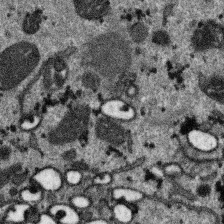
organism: Human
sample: Lung epithelial cells infected with SARS-CoV-2